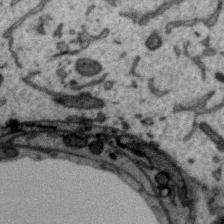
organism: Zebra finch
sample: Brain